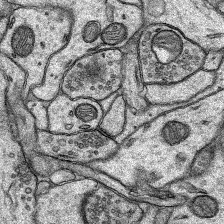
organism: Rat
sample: Hippocampus